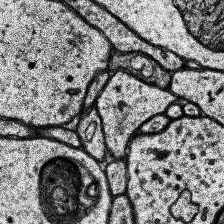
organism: Human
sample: Temporal Lobe